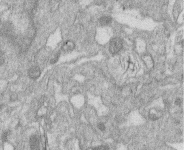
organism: Human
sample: Macrophage cells